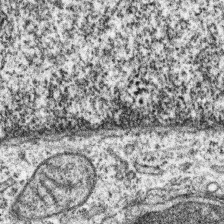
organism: Human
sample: HeLa cells